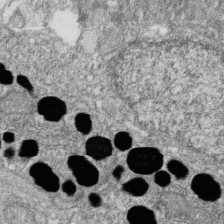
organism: Zebrafish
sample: Cilia; retinal pigment epithelium